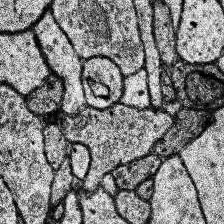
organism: Human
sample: Temporal Lobe